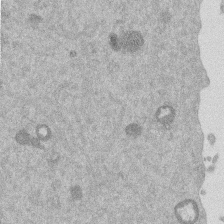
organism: Mouse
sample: Dividing mouse embryo 1 cell stage